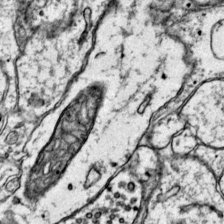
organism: Mouse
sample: Primary visual cortex